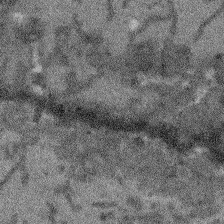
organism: Arabidopsis thaliana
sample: Root tip